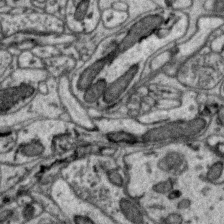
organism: Zebra finch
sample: Brain